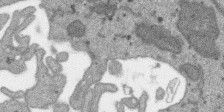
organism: Human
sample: Lung epithelial cells infected with SARS-CoV-2